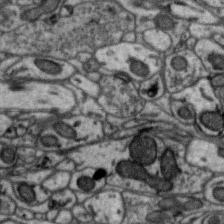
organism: Zebra finch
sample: Brain